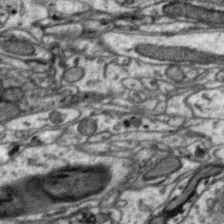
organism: Zebra finch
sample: Brain